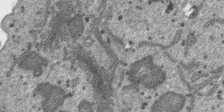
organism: Human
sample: Lung epithelial cells infected with SARS-CoV-2